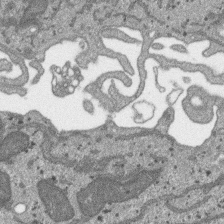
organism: Human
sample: Lung epithelial cells infected with SARS-CoV-2